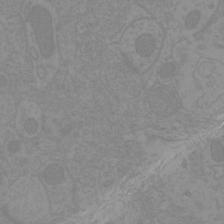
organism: Mouse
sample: Cortical neurons